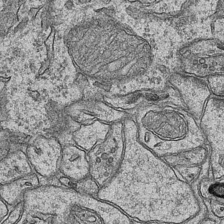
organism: Mouse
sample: CA1 Hippocampus